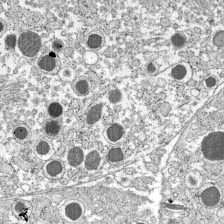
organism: C57BL Mouse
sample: Pancreatic islet